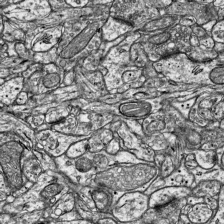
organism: Mouse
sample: Visual Cortex